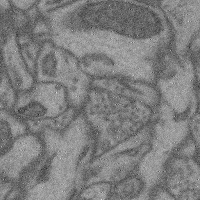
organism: Mouse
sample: Cerebral cortex